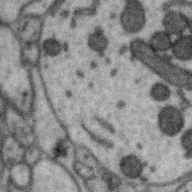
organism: Zebra finch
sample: Brain